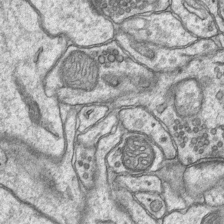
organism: Mouse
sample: CA1 Hippocampus